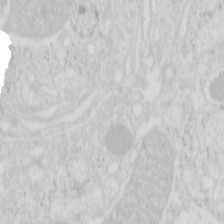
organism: Mouse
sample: Pancreas